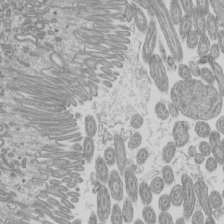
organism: Mouse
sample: Cilia; mouse epididymis